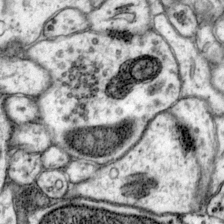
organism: Mouse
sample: Primary visual cortex